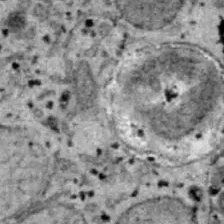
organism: Mouse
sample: Liver from an obese (ob/ob) mouse